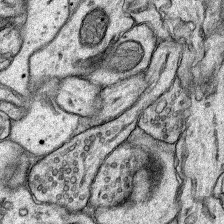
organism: Rat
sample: Hippocampus